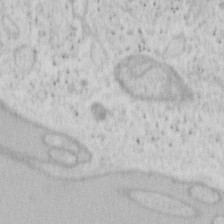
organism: Human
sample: HeLa cells